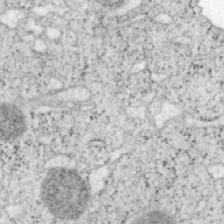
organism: Mouse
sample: OT-I killer T cells with ID8 ovarian cancer cells